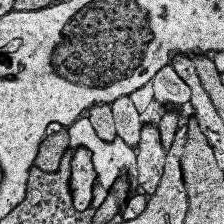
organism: Human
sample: Temporal Lobe